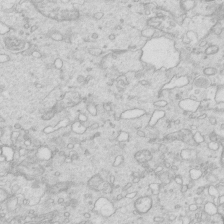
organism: Mouse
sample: Multiciliated cells